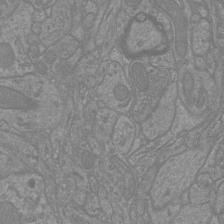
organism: Mouse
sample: Cortical neurons